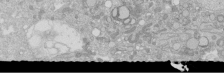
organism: Human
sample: Caco-2 cells